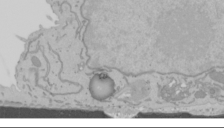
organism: Mouse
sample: Cancer cell death in ED-1 cells